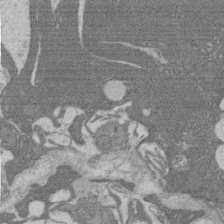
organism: Rat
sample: Salivary granule